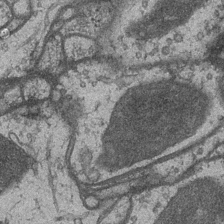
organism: Drosophila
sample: Optic medulla